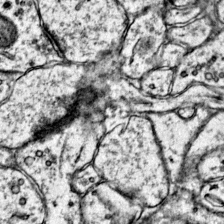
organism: Mouse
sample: Primary visual cortex